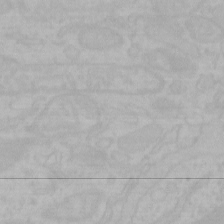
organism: Mouse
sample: Choroid plexus